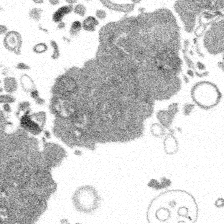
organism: Spongilla lacustris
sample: Multiple